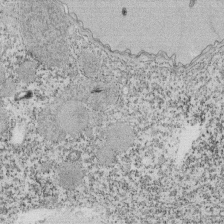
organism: Tetrahymena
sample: Cilia in tetrahymena